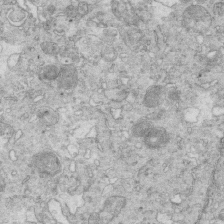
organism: Mouse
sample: Multiciliated cells